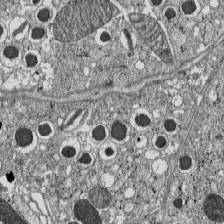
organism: C57BL Mouse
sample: Pancreatic islet